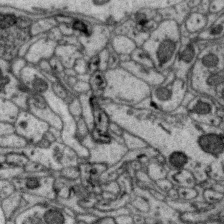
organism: Zebra finch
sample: Brain